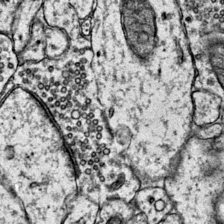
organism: Mouse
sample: Primary visual cortex